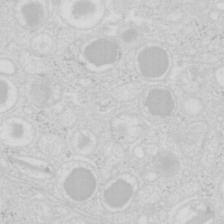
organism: Mouse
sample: Pancreas